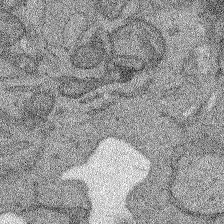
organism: Human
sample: HeLa cells